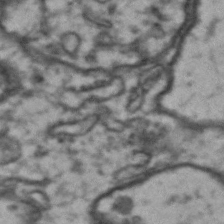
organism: Drosophila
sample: Brain